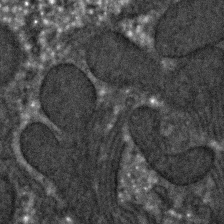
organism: C. elegans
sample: C. elegans embryo